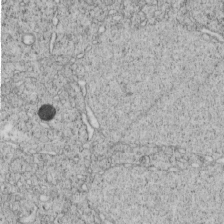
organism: C. elegans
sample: C. elegans embryo early stage